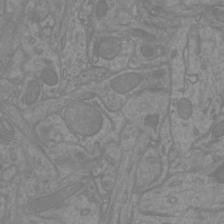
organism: Mouse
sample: Cortical neurons